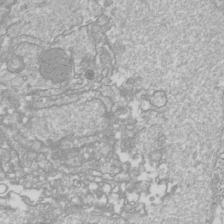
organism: Drosophila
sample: Cell division; meiosis; drosophila spermatocytes